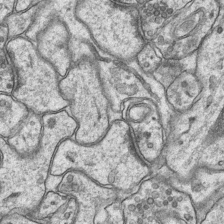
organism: Mouse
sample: CA1 Hippocampus